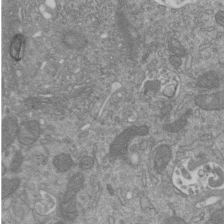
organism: Mouse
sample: ED-1 cell nuclei; centrioles